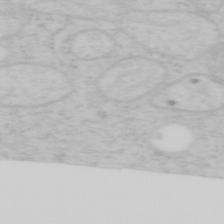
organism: Mouse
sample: OT-I killer T cells with ID8 ovarian cancer cells